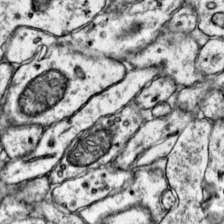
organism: Mouse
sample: Primary visual cortex